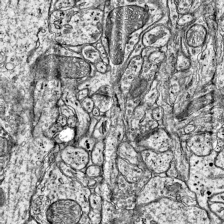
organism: Mouse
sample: Visual Cortex